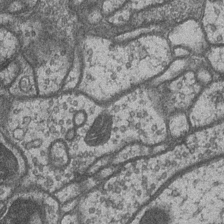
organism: Drosophila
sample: Optic medulla